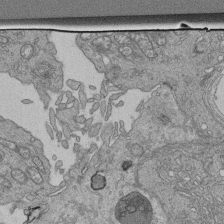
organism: Human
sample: Retinal organoid Rod and Cone cells